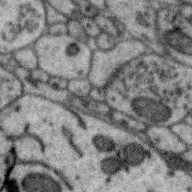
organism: Zebra finch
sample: Brain